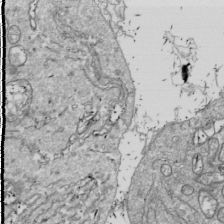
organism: Drosophila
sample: Cell division; meiosis; drosophila spermatocytes